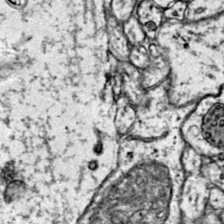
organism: Mouse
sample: Primary visual cortex